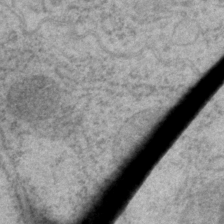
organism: P. pacificus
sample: Pharynx